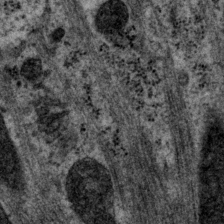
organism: P. pacificus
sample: Pharynx